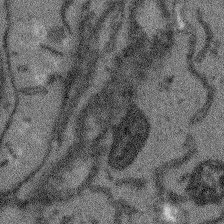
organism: Arabidopsis thaliana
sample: Root tip